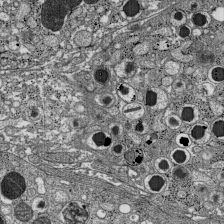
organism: C57BL Mouse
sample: Pancreatic islet